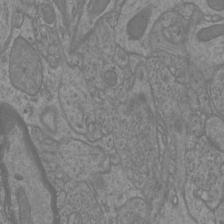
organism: Mouse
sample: Cortical neurons